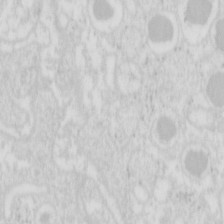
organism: Mouse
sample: Pancreas